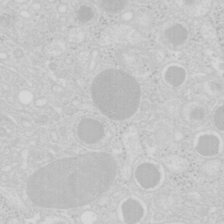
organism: Mouse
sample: Pancreas